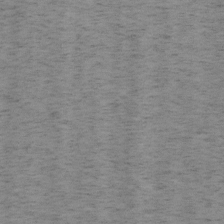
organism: Mouse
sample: OT-I killer T cells with ID8 ovarian cancer cells